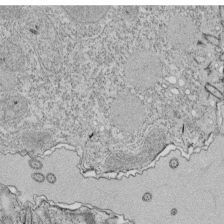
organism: Tetrahymena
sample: Cilia in tetrahymena